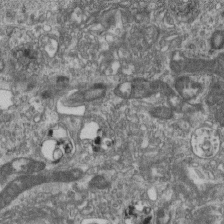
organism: Mouse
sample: Centriole in ependymal cells